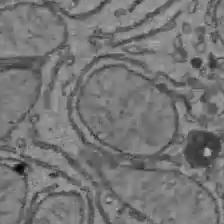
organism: C57BL Mouse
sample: Liver